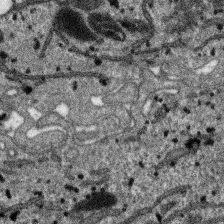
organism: Human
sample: Lung epithelial cells infected with SARS-CoV-2